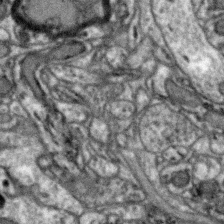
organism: Zebra finch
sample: Brain